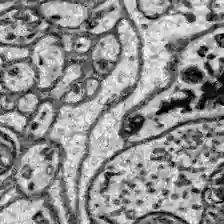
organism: Zebrafish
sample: Brain